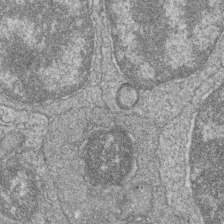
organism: Zebrafish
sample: Cilia; retinal pigment epithelium